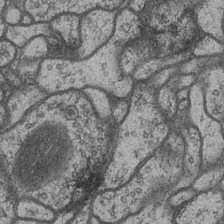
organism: Drosophila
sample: Optic medulla